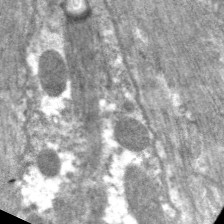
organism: C. elegans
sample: Pharynx